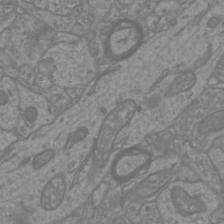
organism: Mouse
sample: Cortical neurons